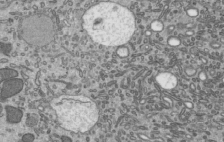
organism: Mouse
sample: Mouse epididymis efferent ductule cilia